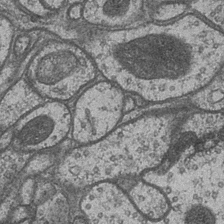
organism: Drosophila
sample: Optic medulla